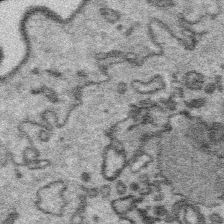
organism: Platynereis dumerilii